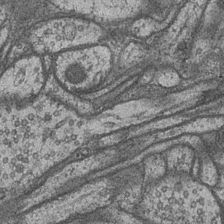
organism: Drosophila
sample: Optic medulla